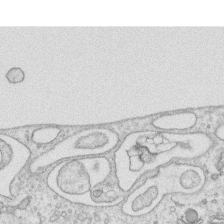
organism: Human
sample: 1205lu cells